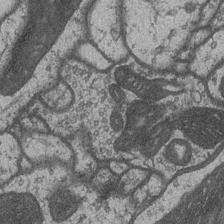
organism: Drosophila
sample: Optic medulla